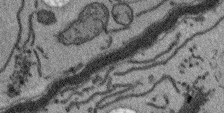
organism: Arabidopsis thaliana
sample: Root tip